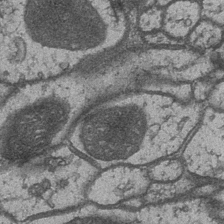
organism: Drosophila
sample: Optic medulla